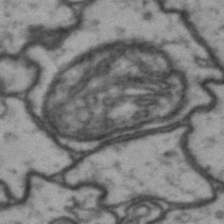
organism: Drosophila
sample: Brain